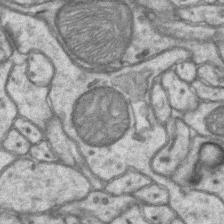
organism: Mouse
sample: CA1 Hippocampus